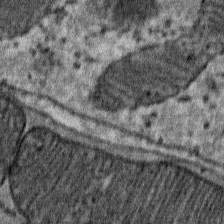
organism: Mouse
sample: Mouse Salivary gland